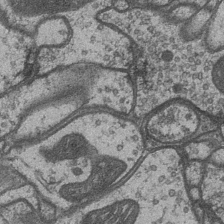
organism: Drosophila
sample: Optic medulla